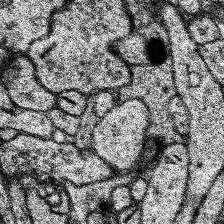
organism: Human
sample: Temporal Lobe